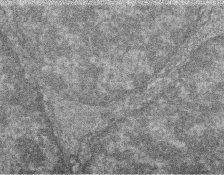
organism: Zebrafish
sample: Cilia; retinal pigment epithelium